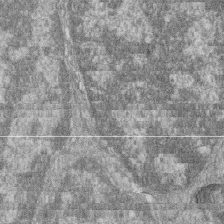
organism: Zebrafish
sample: Cilia; retinal pigment epithelium